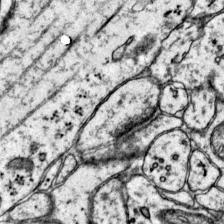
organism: Mouse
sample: Primary visual cortex